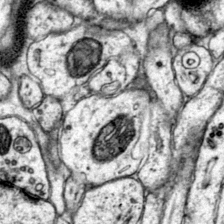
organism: Mouse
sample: Primary visual cortex